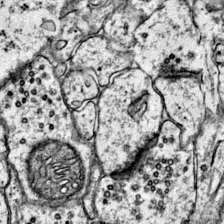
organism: Mouse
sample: Primary visual cortex